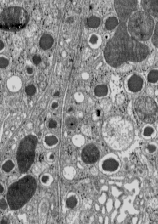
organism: C57BL Mouse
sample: Pancreatic islet